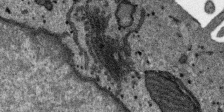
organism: Human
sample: Lung epithelial cells, uninfected (mock) control